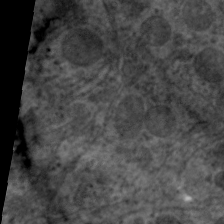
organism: C. elegans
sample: Pharynx